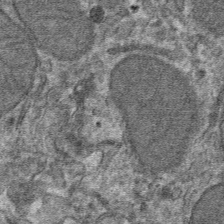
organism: Mouse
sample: Mouse hepatocytes